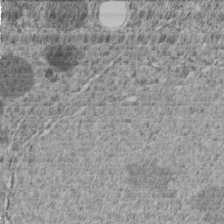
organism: C. elegans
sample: C. elegans embryo early stage